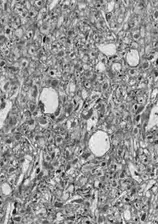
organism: Drosophila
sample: Optic lobe